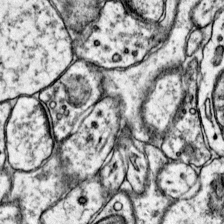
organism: Mouse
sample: Primary visual cortex